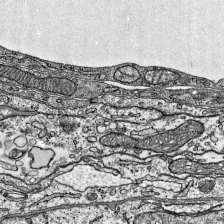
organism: Mouse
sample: Visual Cortex